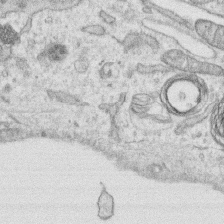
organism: Human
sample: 1205lu cells